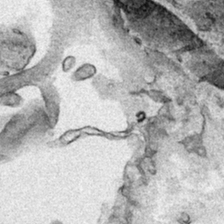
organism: Human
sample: Mitochondria in HCT116 cells